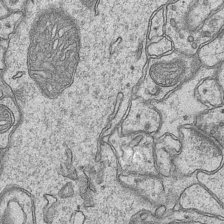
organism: Mouse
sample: CA1 Hippocampus